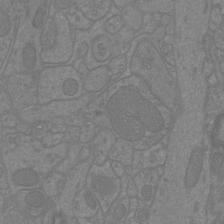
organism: Mouse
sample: Cortical neurons